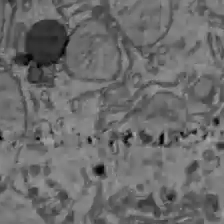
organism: C57BL Mouse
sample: Liver